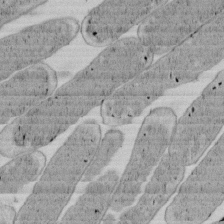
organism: E. coli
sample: Bacterial nucleoid